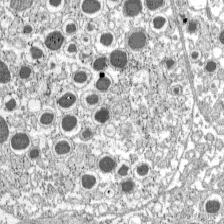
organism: C57BL Mouse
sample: Pancreatic islet